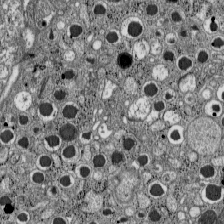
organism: C57BL Mouse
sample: Pancreatic islet